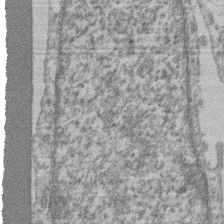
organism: Mouse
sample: T cell stromal cell synapse